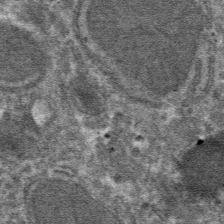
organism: Mouse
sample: Mouse hepatocytes